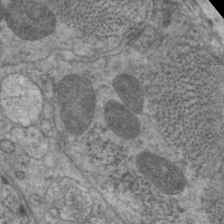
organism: C. elegans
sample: Pharynx